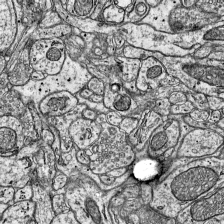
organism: Mouse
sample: Visual Cortex